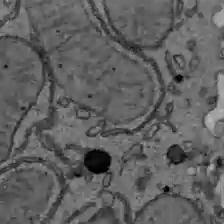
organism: C57BL Mouse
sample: Liver